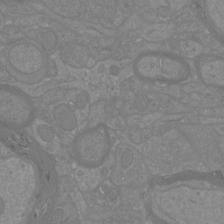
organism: Mouse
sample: Cortical neurons